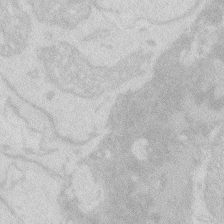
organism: Zebrafish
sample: Macrophage